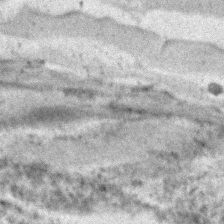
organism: C. elegans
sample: C. elegans embryo